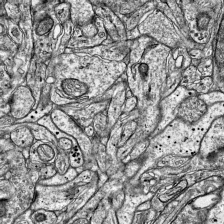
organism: Mouse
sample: Visual Cortex